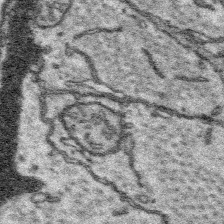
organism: Platynereis dumerilii